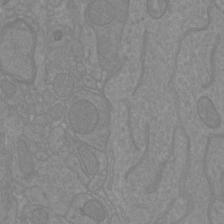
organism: Mouse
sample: Cortical neurons